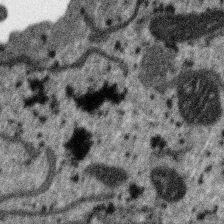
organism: Human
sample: Lung epithelial cells infected with SARS-CoV-2